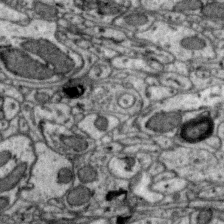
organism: Zebra finch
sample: Brain